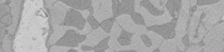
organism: Rat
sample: Left ventricle